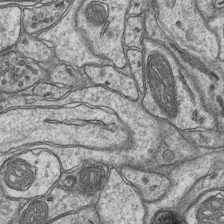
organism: Mouse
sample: CA1 Hippocampus